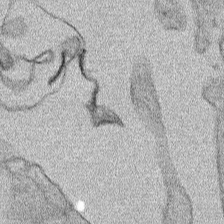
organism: Human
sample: Mitochondria in HCT116 cells